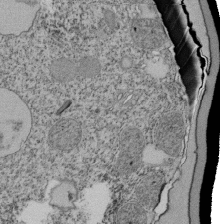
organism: Tetrahymena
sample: Cilia in tetrahymena